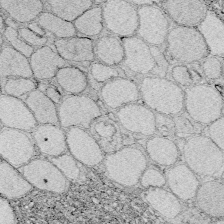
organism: Zebrafish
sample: Whole-Brain